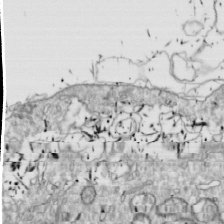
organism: Drosophila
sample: Cell division; meiosis; drosophila spermatocytes